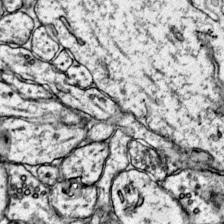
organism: Mouse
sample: Primary visual cortex